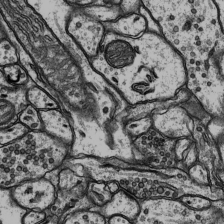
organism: Rat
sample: Hippocampus